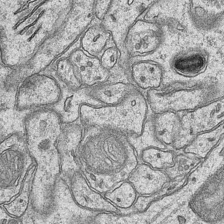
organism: Mouse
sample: CA1 Hippocampus